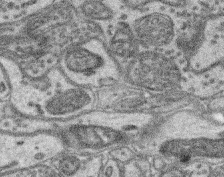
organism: Mouse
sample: Retina